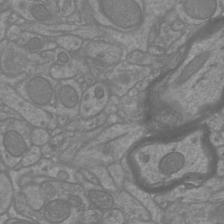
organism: Mouse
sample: Cortical neurons